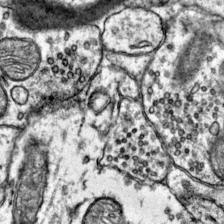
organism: Mouse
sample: Primary visual cortex